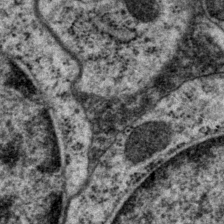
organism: P. pacificus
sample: Pharynx